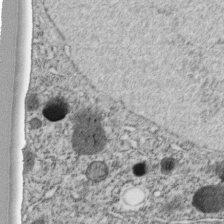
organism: C. elegans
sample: C. elegans embryo early stage